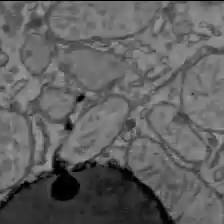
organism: C57BL Mouse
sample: Liver